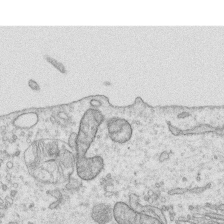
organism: Human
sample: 1205lu cells